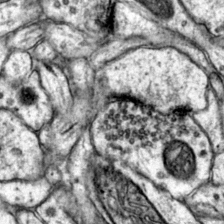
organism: Mouse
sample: Primary visual cortex